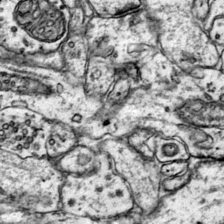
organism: Mouse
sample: Primary visual cortex